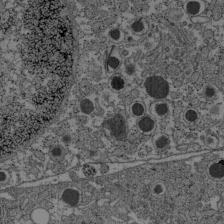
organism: C57BL Mouse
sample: Pancreatic islet